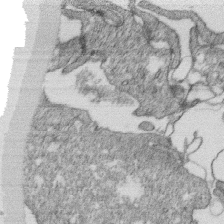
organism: African green monkey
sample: Vero E6 cells infected with SARS-CoV-2